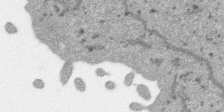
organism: Human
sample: Lung epithelial cells infected with SARS-CoV-2